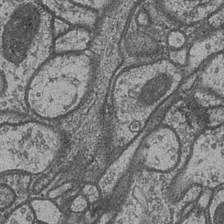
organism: Drosophila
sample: Optic medulla